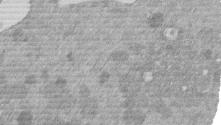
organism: Mouse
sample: Dividing mouse embryo 1 cell stage